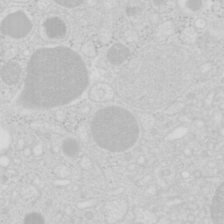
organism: Mouse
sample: Pancreas